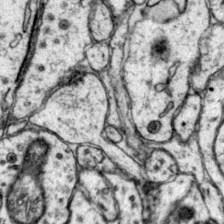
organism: Mouse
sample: Primary visual cortex